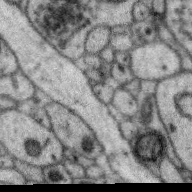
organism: Zebra finch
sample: Brain